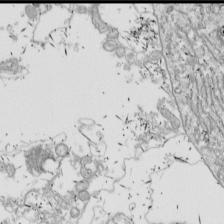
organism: Drosophila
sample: Cell division; meiosis; drosophila spermatocytes